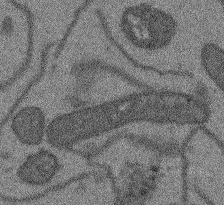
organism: Arabidopsis thaliana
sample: Root tip